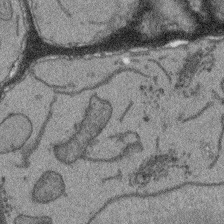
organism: Arabidopsis thaliana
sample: Root tip